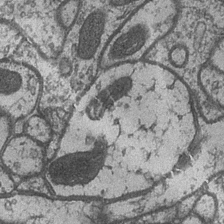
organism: Drosophila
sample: Optic medulla